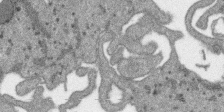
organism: Human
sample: Lung epithelial cells infected with SARS-CoV-2